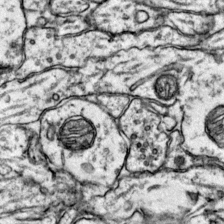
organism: Mouse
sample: Primary visual cortex